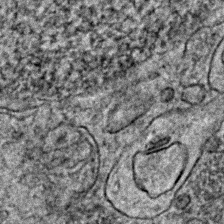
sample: Trachea